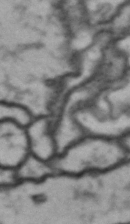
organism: Drosophila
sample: Brain